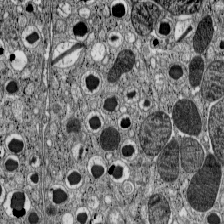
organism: C57BL Mouse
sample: Pancreatic islet